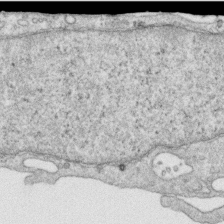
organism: Human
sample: Centriole in RPE cells